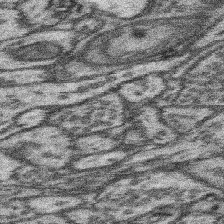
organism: Mouse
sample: Somatosensory cortex neuropil